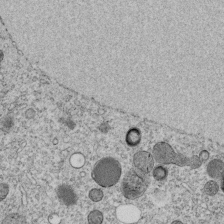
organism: C. elegans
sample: C. elegans embryo early stage